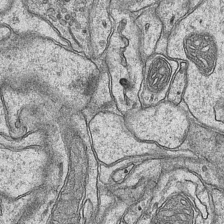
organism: Mouse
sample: CA1 Hippocampus